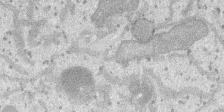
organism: Human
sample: Lung epithelial cells infected with SARS-CoV-2